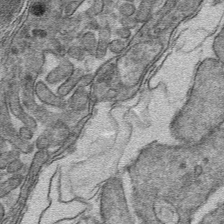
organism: Mouse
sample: Mouse hepatocytes